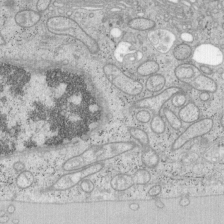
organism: Mouse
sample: OT-I killer T cells with ID8 ovarian cancer cells